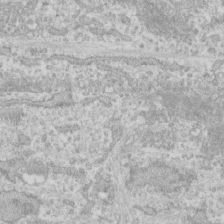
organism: Human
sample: CRL-1474